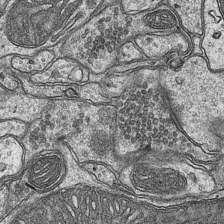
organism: Mouse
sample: CA1 Hippocampus